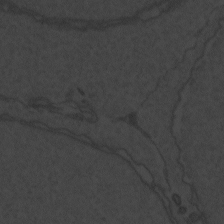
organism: Zebrafish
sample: Macrophage infected with Toxoplasma gondii